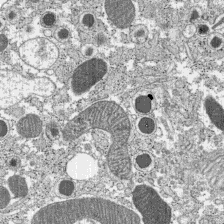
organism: C57BL Mouse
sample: Pancreatic islet